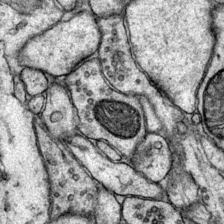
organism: Mouse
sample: Primary visual cortex